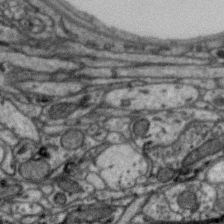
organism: Zebra finch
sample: Brain